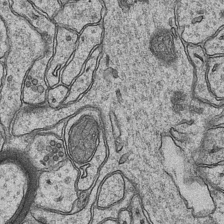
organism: Mouse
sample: CA1 Hippocampus